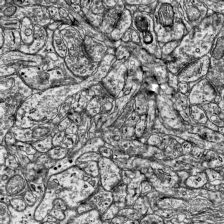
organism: Mouse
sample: Visual Cortex